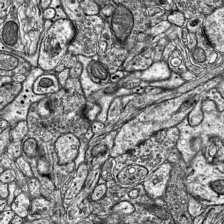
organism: Mouse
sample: Visual Cortex